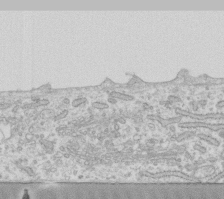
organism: Human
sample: Fibroblast cells